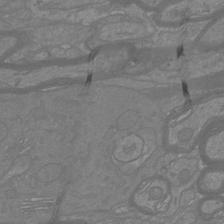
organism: Mouse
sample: Cortical neurons